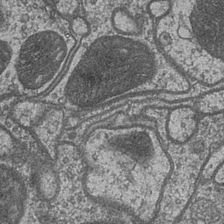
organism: Drosophila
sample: Optic medulla